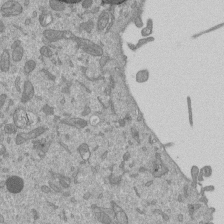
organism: Mouse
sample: ED-1 cell nuclei; centrioles